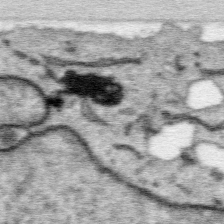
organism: Human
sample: HeLa cells